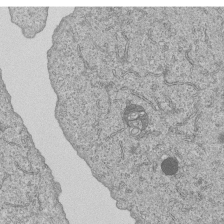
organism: Human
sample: MDA-MB-231 cells